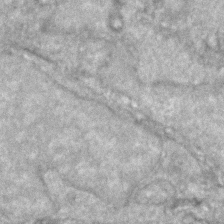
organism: Zebrafish